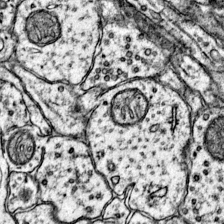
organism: Mouse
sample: Primary visual cortex